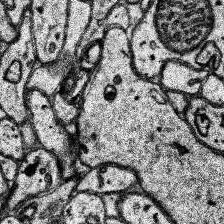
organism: Human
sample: Temporal Lobe